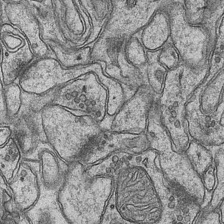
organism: Mouse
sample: CA1 Hippocampus